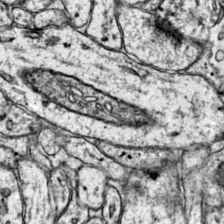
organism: Mouse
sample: Primary visual cortex